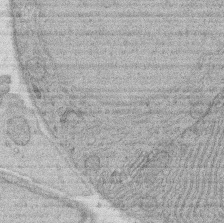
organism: Rat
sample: Salivary granule